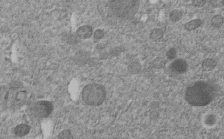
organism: C. elegans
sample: C. elegans embryo early stage